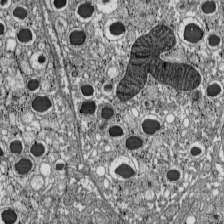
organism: C57BL Mouse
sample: Pancreatic islet